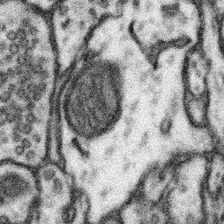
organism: Mouse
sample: Somatosensory cortex neuropil